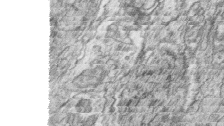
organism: Zebrafish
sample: synaptic ribbons in rod cells and cone cells